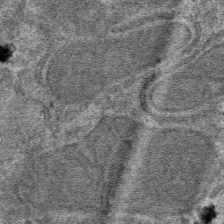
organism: Mouse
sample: Mouse hepatocytes